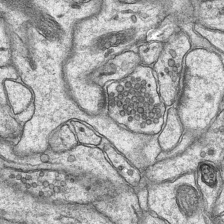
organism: Mouse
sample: CA1 Hippocampus